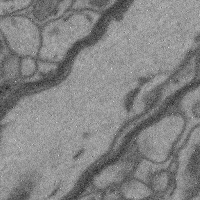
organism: Mouse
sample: Cerebral cortex